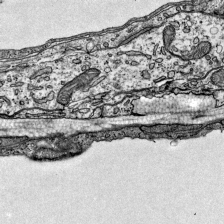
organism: Mouse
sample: Visual Cortex